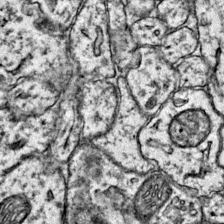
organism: Mouse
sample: Primary visual cortex